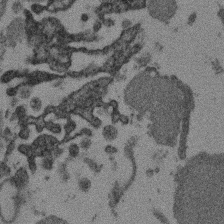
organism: Mouse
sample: Dividing mouse embryo 1 cell stage